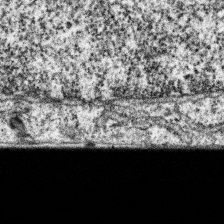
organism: Human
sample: HeLa cells